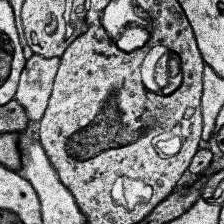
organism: Human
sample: Temporal Lobe